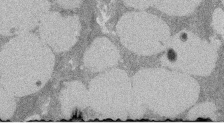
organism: Rat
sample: Salivary granule